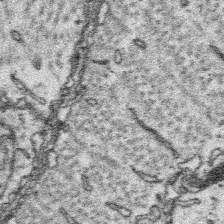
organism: Platynereis dumerilii